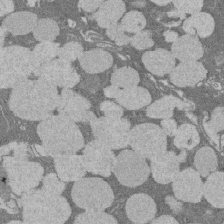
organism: Rat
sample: Salivary granule